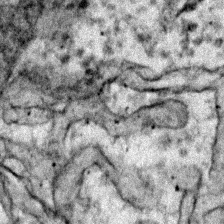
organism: Zebrafish